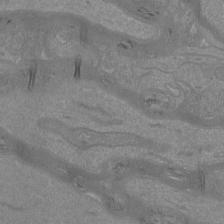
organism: Mouse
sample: Cortical neurons